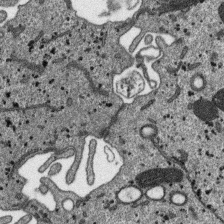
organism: Human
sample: Lung epithelial cells infected with SARS-CoV-2